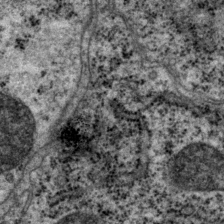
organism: P. pacificus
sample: Pharynx